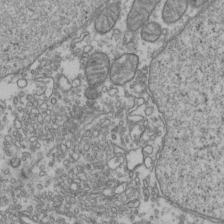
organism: Human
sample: Activated Jurkat CD4+ T cells